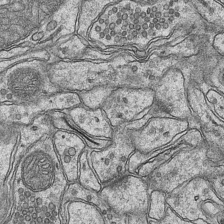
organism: Mouse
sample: CA1 Hippocampus